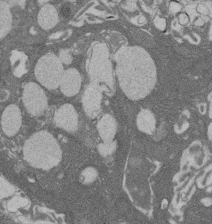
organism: Rat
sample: Salivary granule